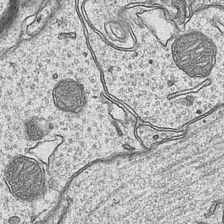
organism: Mouse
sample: CA1 Hippocampus